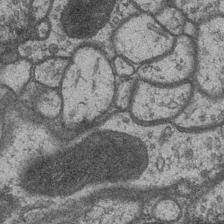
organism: Drosophila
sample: Optic medulla